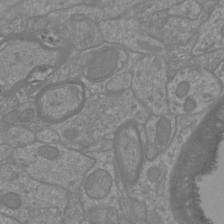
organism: Mouse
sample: Cortical neurons